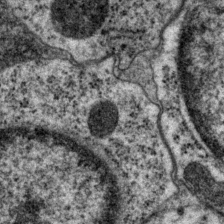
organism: P. pacificus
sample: Pharynx